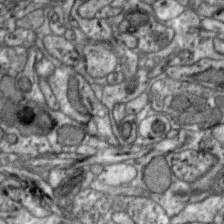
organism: Zebra finch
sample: Brain